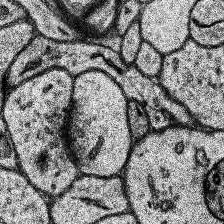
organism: Human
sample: Temporal Lobe